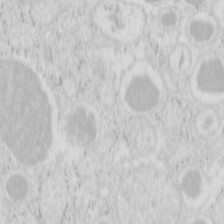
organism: Mouse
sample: Pancreas